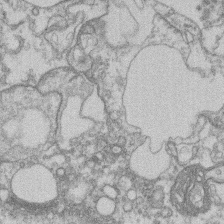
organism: Mouse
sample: T cell stromal cell synapse